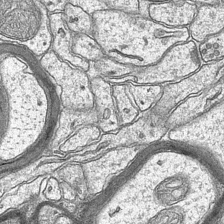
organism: Mouse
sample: CA1 Hippocampus